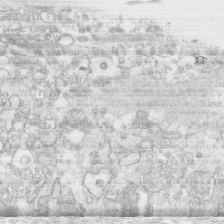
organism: Human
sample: CRL-1474